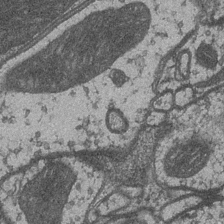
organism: Drosophila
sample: Optic medulla